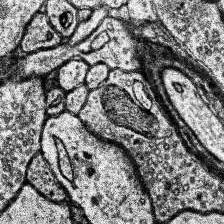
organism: Human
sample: Temporal Lobe